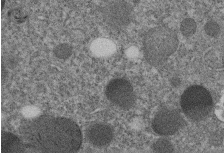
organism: C. elegans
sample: C. elegans embryo early stage